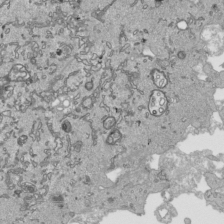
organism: Human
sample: Mitochondria in HCT116 cells